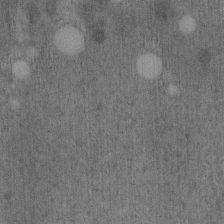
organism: C. elegans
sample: C. elegans embryo early stage